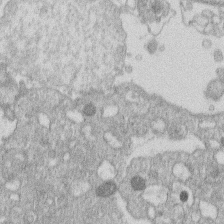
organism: Human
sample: Macrophage cells